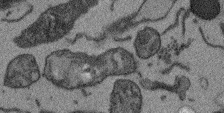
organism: Arabidopsis thaliana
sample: Root tip